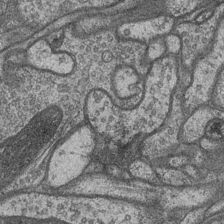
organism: Drosophila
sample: Optic medulla